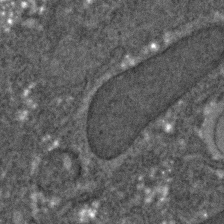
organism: C. elegans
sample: C. elegans embryo